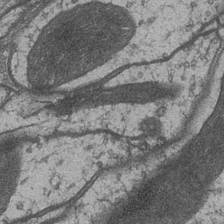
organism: Drosophila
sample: Optic medulla